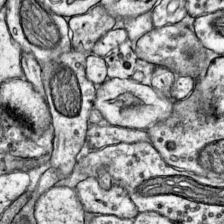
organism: Mouse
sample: Primary visual cortex